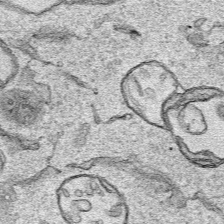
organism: Human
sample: Mitochondria in HCT116 cells